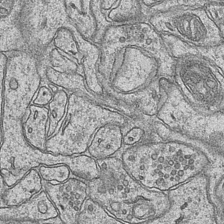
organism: Mouse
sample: CA1 Hippocampus